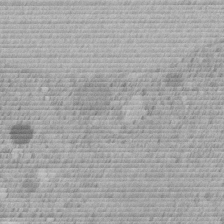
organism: C. elegans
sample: C. elegans embryo early stage